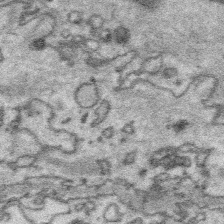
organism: Platynereis dumerilii